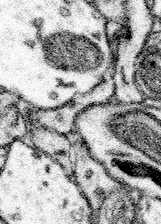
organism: Mouse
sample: Somatosensory cortex neuropil